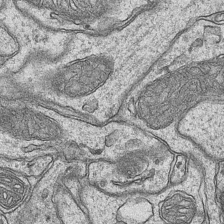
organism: Mouse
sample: CA1 Hippocampus